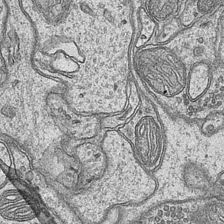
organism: Mouse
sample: CA1 Hippocampus